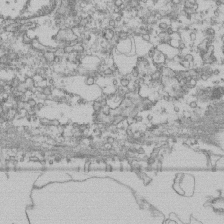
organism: Human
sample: Fibroblast cells